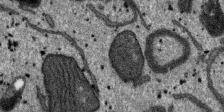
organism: Human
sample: Lung epithelial cells, uninfected (mock) control